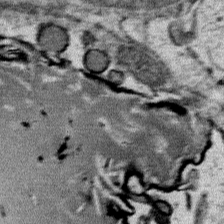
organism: Mouse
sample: Mouse Salivary gland